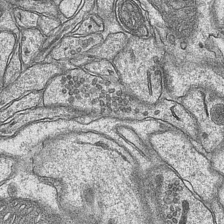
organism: Mouse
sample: CA1 Hippocampus